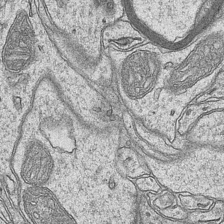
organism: Mouse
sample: CA1 Hippocampus